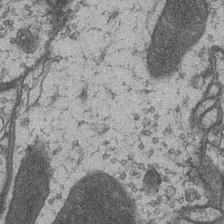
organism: Drosophila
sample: Optic medulla